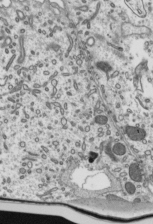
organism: Mouse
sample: Mouse epididymis efferent ductule cilia